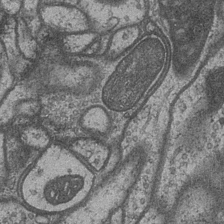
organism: Drosophila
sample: Optic medulla